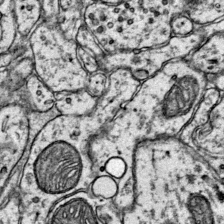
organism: Mouse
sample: Primary visual cortex